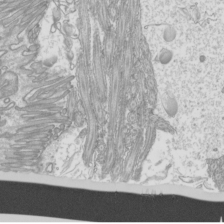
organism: Mouse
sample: Cilia; mouse epididymis